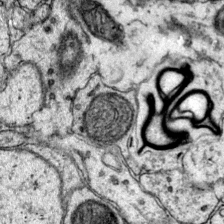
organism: Mouse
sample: Primary visual cortex